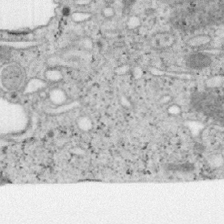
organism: Mouse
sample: OT-I killer T cells with ID8 ovarian cancer cells